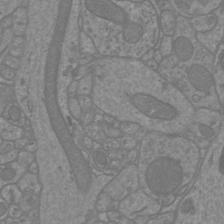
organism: Mouse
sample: Cortical neurons